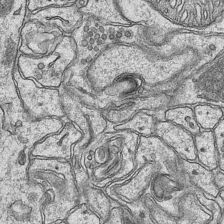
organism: Mouse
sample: CA1 Hippocampus